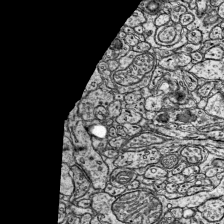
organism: Mouse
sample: Visual Cortex